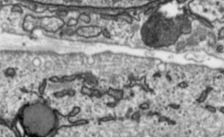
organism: Toxoplasma gondii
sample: Parasites in a vacuole inside a host cell